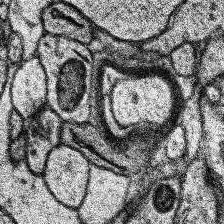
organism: Human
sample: Temporal Lobe